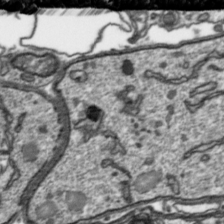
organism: Toxoplasma gondii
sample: Parasites in a vacuole inside a host cell